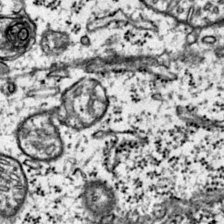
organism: Mouse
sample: Primary visual cortex